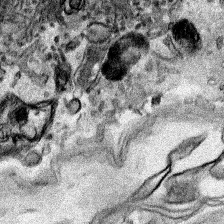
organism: Human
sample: Mitochondria in HCT116 cells